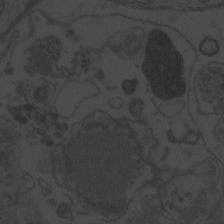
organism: Zebrafish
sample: Macrophage infected with Toxoplasma gondii